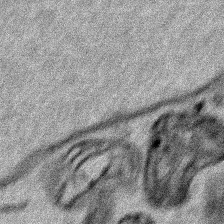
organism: Human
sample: Mitochondria in HCT116 cells